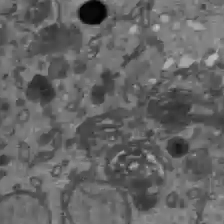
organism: C57BL Mouse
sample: Liver